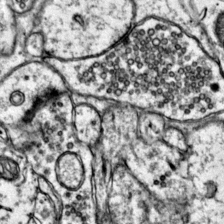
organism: Mouse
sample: Primary visual cortex